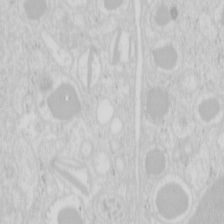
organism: Mouse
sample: Pancreas